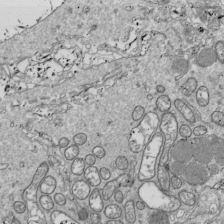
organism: Drosophila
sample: Cell division; meiosis; drosophila spermatocytes